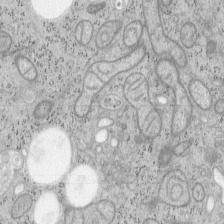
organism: Mouse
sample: OT-I killer T cells with ID8 ovarian cancer cells